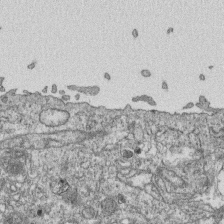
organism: Human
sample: HeLa cell HIV synapse